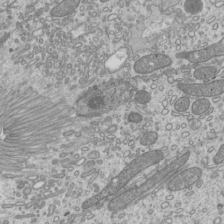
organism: Mouse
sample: Cilia; mouse epididymis